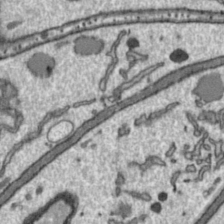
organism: Toxoplasma gondii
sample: Parasites in a vacuole inside a host cell